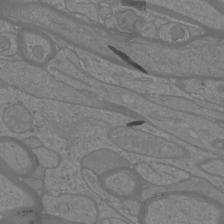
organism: Mouse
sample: Cortical neurons